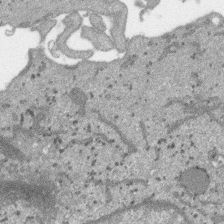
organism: Human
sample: Lung epithelial cells infected with SARS-CoV-2